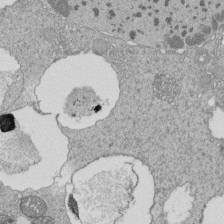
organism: Tetrahymena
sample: Cilia in tetrahymena